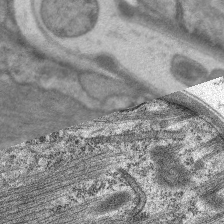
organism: C. elegans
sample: Pharynx